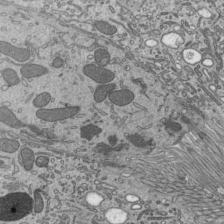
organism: Mouse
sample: Mouse epididymis efferent ductule cilia